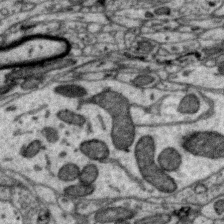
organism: Zebra finch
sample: Brain